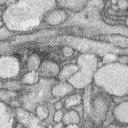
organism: Rabbit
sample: Retina